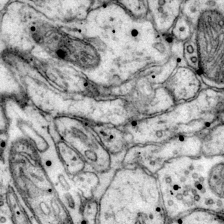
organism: Mouse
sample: Primary visual cortex